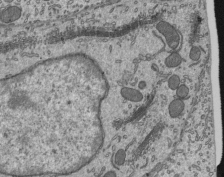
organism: Mouse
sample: Mouse epididymis efferent ductule cilia